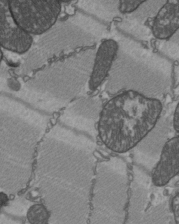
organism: C57BL Mouse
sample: Heart